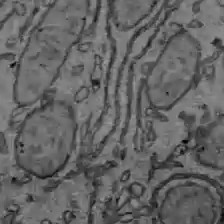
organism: C57BL Mouse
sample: Liver